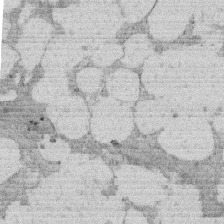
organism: Rat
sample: Salivary granule